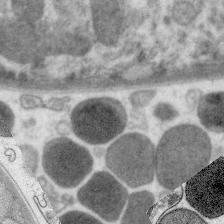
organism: C. elegans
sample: Pharynx